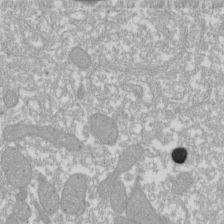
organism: Xenopus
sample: Cilia; centrioles in frog embryo cells